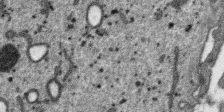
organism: Human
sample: Lung epithelial cells infected with SARS-CoV-2